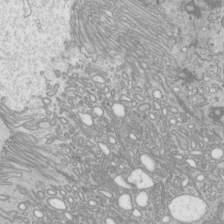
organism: Mouse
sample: Cilia; mouse epididymis